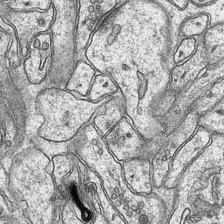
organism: Mouse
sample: CA1 Hippocampus